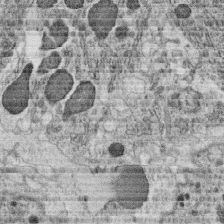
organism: C. elegans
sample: C. elegans oocyte; sperm cells